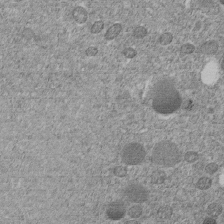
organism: C. elegans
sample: C. elegans embryo early stage